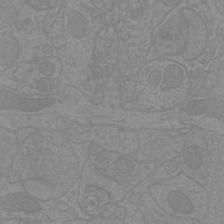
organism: Mouse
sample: Cortical neurons